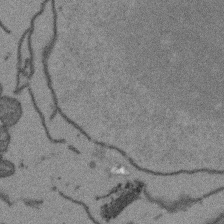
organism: Arabidopsis thaliana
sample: Root tip